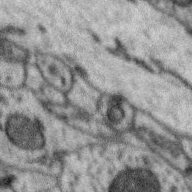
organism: Zebra finch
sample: Brain